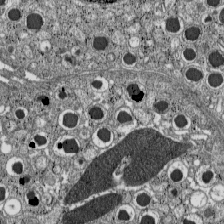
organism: C57BL Mouse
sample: Pancreatic islet